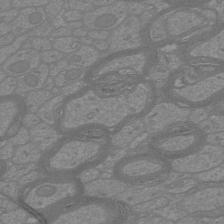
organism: Mouse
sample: Cortical neurons